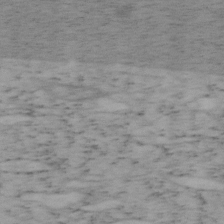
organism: Mouse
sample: OT-I killer T cells with ID8 ovarian cancer cells